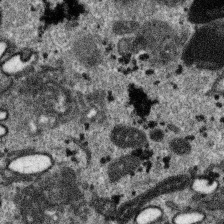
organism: Human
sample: Lung epithelial cells infected with SARS-CoV-2